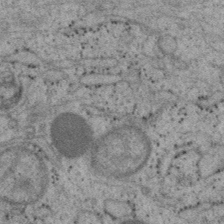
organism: Human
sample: HeLa cells